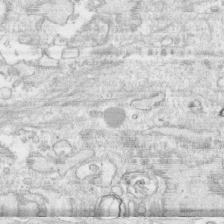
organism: Human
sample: CRL-1474